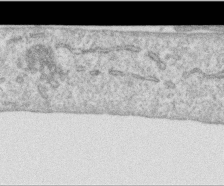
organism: Human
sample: Centriole in RPE cells